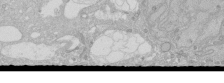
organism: Human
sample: Caco-2 cells